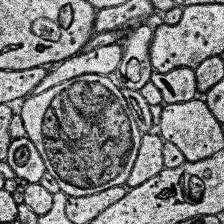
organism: Human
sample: Temporal Lobe